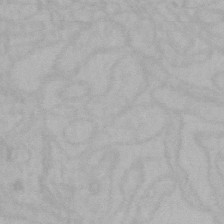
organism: Mouse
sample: Choroid plexus